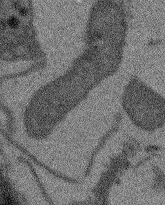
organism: Arabidopsis thaliana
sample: Root tip